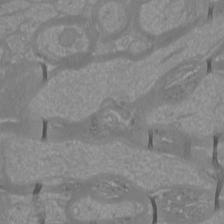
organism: Mouse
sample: Cortical neurons